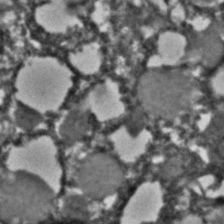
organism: C. elegans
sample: C. elegans embryo